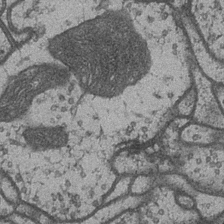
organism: Drosophila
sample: Optic medulla